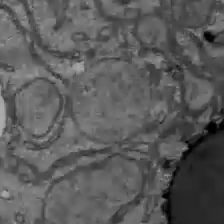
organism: C57BL Mouse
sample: Liver